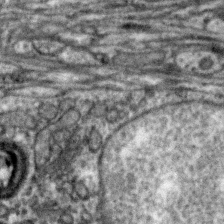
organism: Zebra finch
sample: Brain